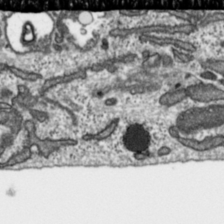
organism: Toxoplasma gondii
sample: Parasites in a vacuole inside a host cell